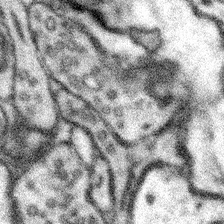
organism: Mouse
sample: Somatosensory cortex neuropil